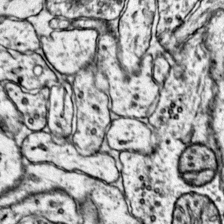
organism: Mouse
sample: Primary visual cortex